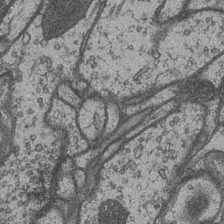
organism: Drosophila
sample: Optic medulla